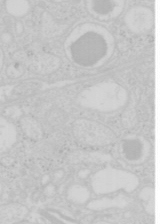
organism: Mouse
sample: Pancreas